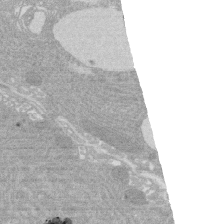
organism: Rat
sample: Salivary granule